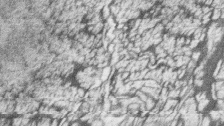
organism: Zebrafish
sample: synaptic ribbons in rod cells and cone cells